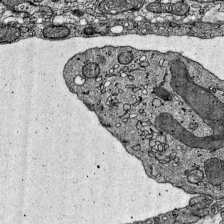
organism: Mouse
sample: Visual Cortex